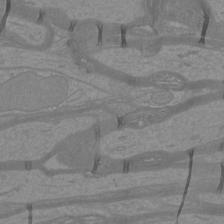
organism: Mouse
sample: Cortical neurons